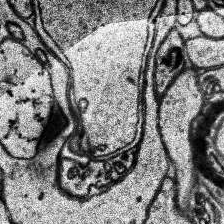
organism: Human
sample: Temporal Lobe